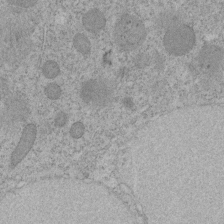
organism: C. elegans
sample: C. elegans embryo early stage